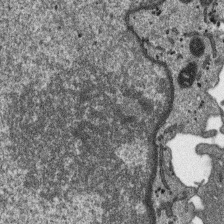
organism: Human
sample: Lung epithelial cells infected with SARS-CoV-2